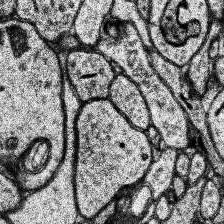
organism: Human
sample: Temporal Lobe